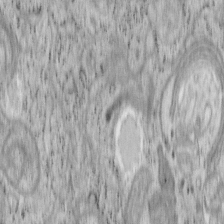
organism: Human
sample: HeLa cells